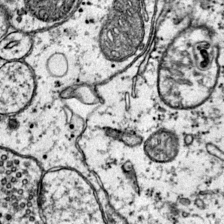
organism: Mouse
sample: Primary visual cortex